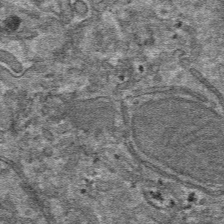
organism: Mouse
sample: Mouse hepatocytes